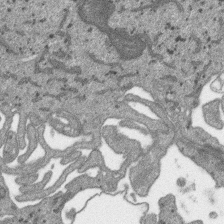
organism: Human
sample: Lung epithelial cells infected with SARS-CoV-2